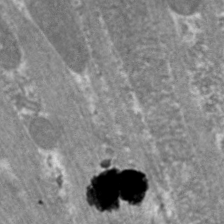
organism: C. elegans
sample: Pharynx